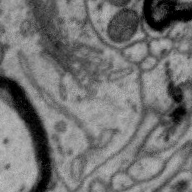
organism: Zebra finch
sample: Brain